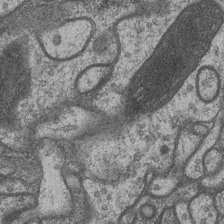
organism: Drosophila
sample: Optic medulla